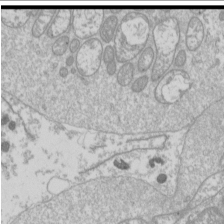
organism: Drosophila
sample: Cell division; meiosis; drosophila spermatocytes